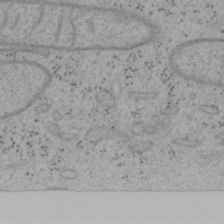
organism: Human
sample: HeLa cells